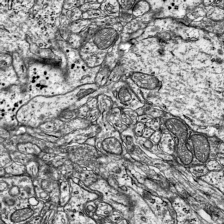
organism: Mouse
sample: Visual Cortex